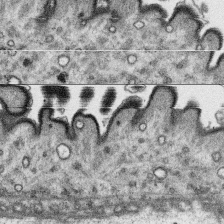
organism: Platynereis dumerilii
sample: Parapodia